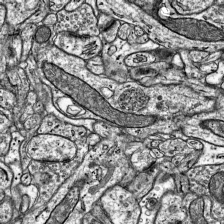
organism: Mouse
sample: Visual Cortex